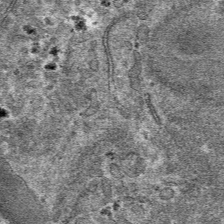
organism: Mouse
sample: Mouse hepatocytes